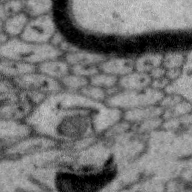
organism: Zebra finch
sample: Brain